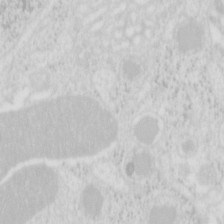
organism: Mouse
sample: Pancreas